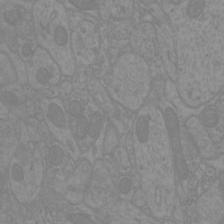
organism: Mouse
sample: Cortical neurons